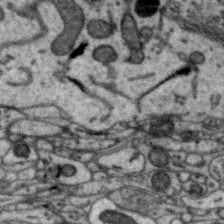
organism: Zebra finch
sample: Brain